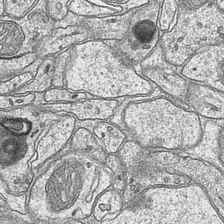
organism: Mouse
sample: CA1 Hippocampus